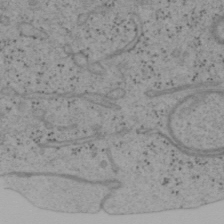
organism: Human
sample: HeLa cells